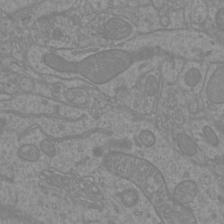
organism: Mouse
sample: Cortical neurons